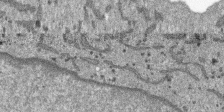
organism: Human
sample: Lung epithelial cells infected with SARS-CoV-2